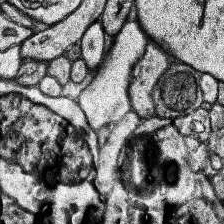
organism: Human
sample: Temporal Lobe